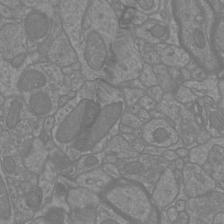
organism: Mouse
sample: Cortical neurons